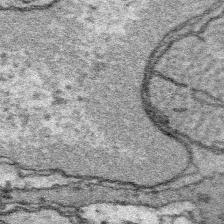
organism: Platynereis dumerilii